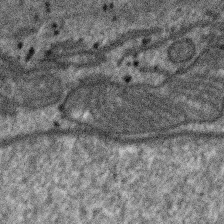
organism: Human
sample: Lung epithelial cells infected with SARS-CoV-2